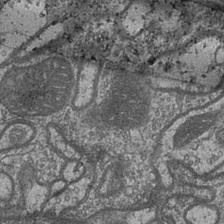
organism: Drosophila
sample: Optic medulla